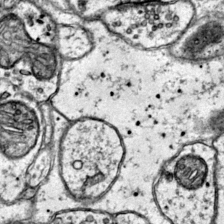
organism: Mouse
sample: Primary visual cortex